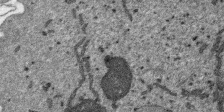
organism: Human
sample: Lung epithelial cells infected with SARS-CoV-2